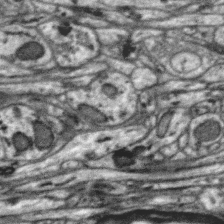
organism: Zebra finch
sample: Brain